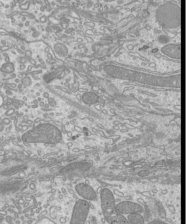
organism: Mouse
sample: Cilia; mouse epididymis